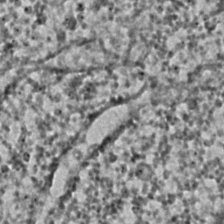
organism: C. elegans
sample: C. elegans embryo